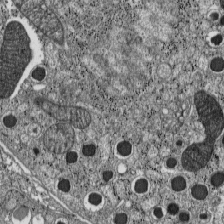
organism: C57BL Mouse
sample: Pancreatic islet